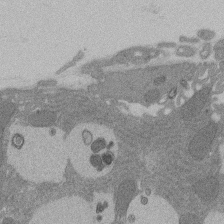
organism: Rat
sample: Salivary granule